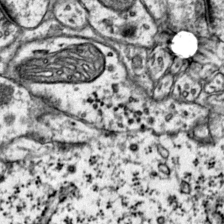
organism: Mouse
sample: Primary visual cortex